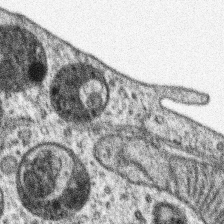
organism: Human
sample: HeLa cells